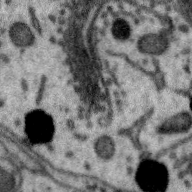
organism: Zebra finch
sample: Brain